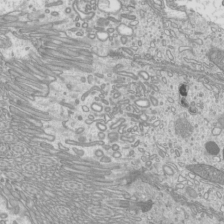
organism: Mouse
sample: Cilia; mouse epididymis